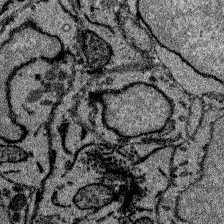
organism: Zebrafish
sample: Larval olfactory bulb